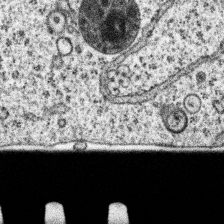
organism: Human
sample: HeLa cells